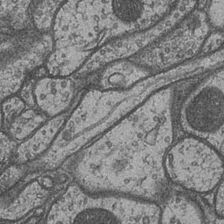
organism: Drosophila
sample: Optic medulla